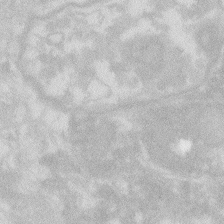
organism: Zebrafish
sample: Macrophage